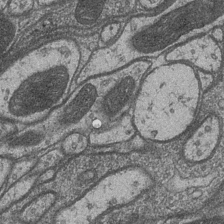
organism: Drosophila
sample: Optic medulla